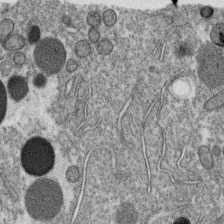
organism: C. elegans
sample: C. elegans oocyte; sperm cells